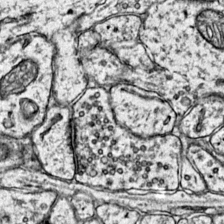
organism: Mouse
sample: Primary visual cortex